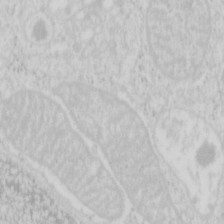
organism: Mouse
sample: Pancreas